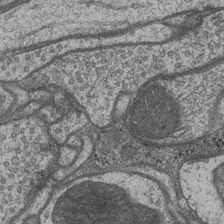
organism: Drosophila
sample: Optic medulla